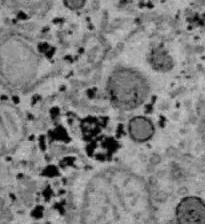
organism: Mouse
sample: Liver from an obese (ob/ob) mouse